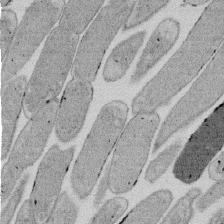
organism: E. coli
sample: Bacterial nucleoid